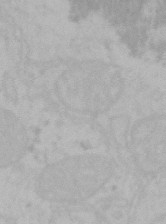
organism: Mouse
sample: Choroid plexus